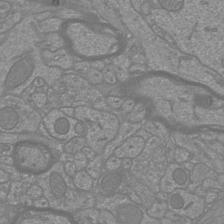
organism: Mouse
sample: Cortical neurons